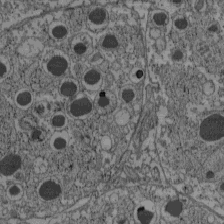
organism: C57BL Mouse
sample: Pancreatic islet